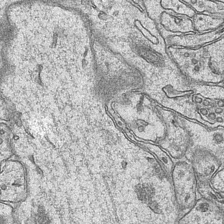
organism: Mouse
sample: CA1 Hippocampus